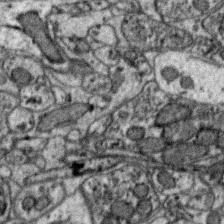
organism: Zebra finch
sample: Brain